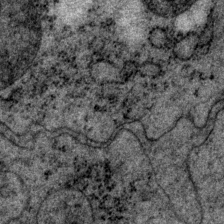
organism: P. pacificus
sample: Pharynx